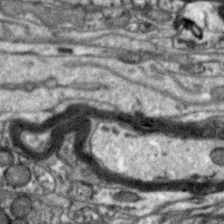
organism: Zebra finch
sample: Brain